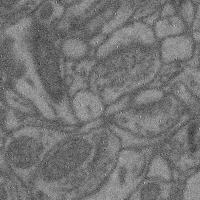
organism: Mouse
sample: Cerebral cortex